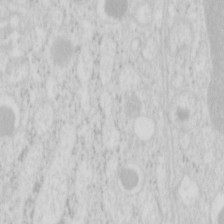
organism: Mouse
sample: Pancreas